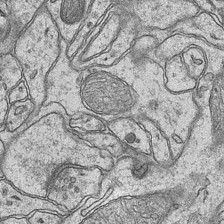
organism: Mouse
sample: CA1 Hippocampus